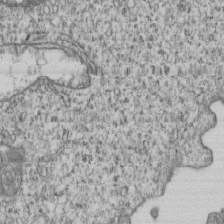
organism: Human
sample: MDA-MB-231 cells